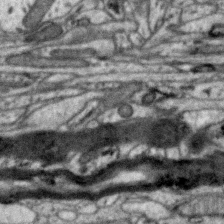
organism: Zebra finch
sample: Brain